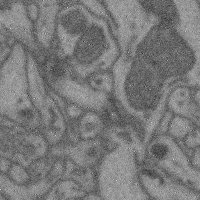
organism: Mouse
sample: Cerebral cortex